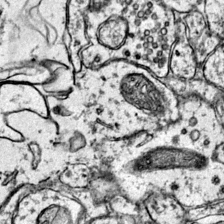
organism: Mouse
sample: Primary visual cortex